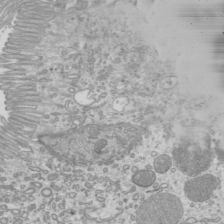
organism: Mouse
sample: Cilia; mouse epididymis